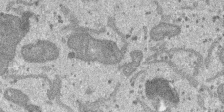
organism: Human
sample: Lung epithelial cells infected with SARS-CoV-2